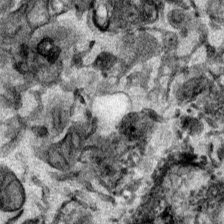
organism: Mouse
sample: Cancer cell death in ED-1 cells